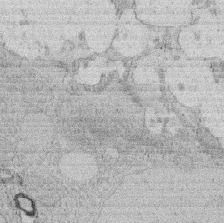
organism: Rat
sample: Salivary granule